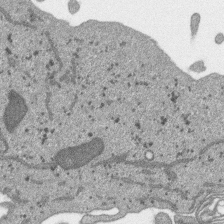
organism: Human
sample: Lung epithelial cells infected with SARS-CoV-2